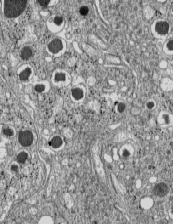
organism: C57BL Mouse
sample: Pancreatic islet